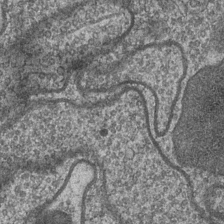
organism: Drosophila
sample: Optic medulla